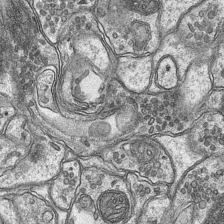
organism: Mouse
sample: CA1 Hippocampus